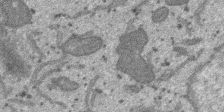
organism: Human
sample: Lung epithelial cells infected with SARS-CoV-2